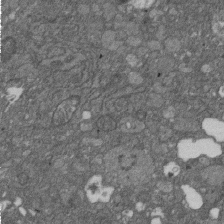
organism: Drosophila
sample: Nephrocyte